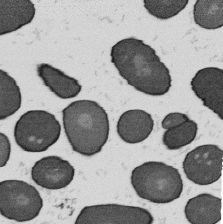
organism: B. subtilis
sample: Bacterial spore